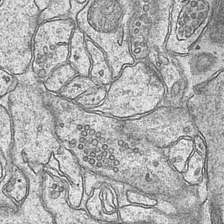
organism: Mouse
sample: CA1 Hippocampus